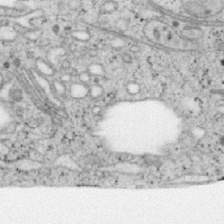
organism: Mouse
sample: OT-I killer T cells with ID8 ovarian cancer cells